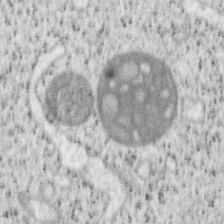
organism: Mouse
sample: OT-I killer T cells with ID8 ovarian cancer cells